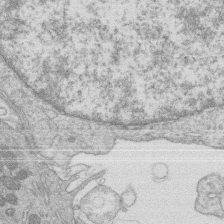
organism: Human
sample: Macrophage cells